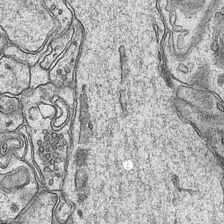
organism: Mouse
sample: CA1 Hippocampus